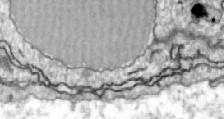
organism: Zebrafish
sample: Actinotrichia fibers